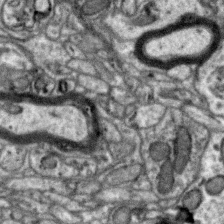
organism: Zebra finch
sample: Brain